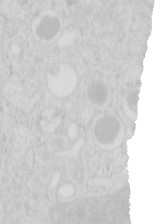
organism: Mouse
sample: Pancreas